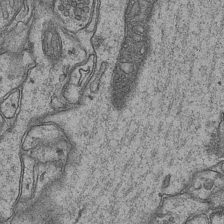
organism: Mouse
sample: CA1 Hippocampus